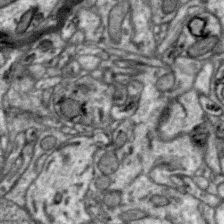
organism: Zebra finch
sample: Brain